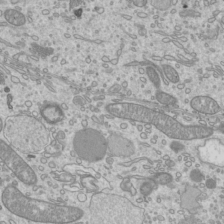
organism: Mouse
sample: Cilia; mouse epididymis